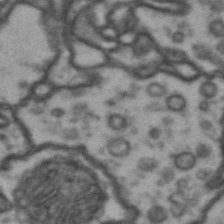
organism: Drosophila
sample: Brain